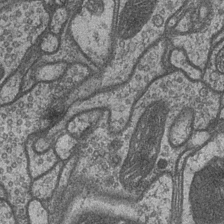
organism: Drosophila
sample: Optic medulla